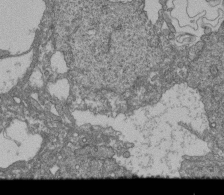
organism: Human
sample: Retinal organoid Rod and Cone cells